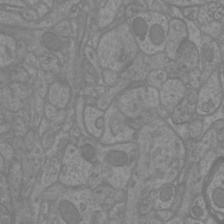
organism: Mouse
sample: Cortical neurons